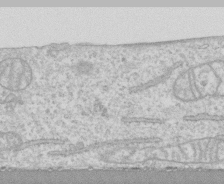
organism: Human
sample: CRL-1474